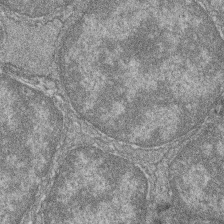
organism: Zebrafish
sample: Cilia; retinal pigment epithelium